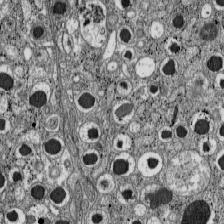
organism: C57BL Mouse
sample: Pancreatic islet